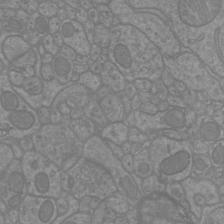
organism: Mouse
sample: Cortical neurons